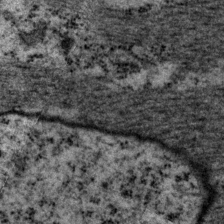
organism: P. pacificus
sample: Pharynx